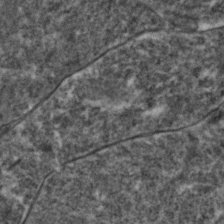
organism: Zebrafish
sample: Zebrafish embryo